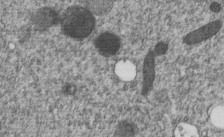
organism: C. elegans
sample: C. elegans embryo early stage